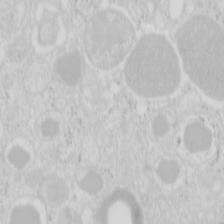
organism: Mouse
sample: Pancreas